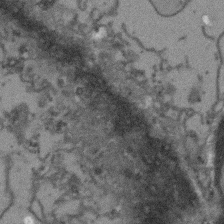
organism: Arabidopsis thaliana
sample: Root tip